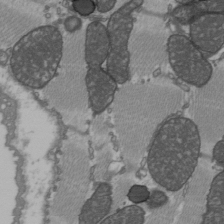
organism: C57BL Mouse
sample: Heart